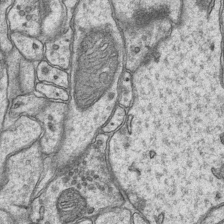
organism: Mouse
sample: CA1 Hippocampus